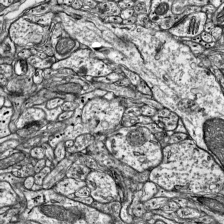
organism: Mouse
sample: Visual Cortex